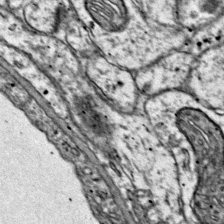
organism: Mouse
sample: Primary visual cortex